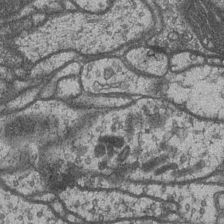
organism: Drosophila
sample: Optic medulla